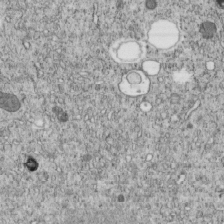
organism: C. elegans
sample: C. elegans embryo early stage